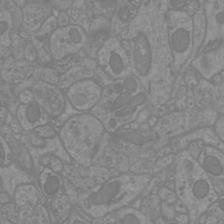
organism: Mouse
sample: Cortical neurons